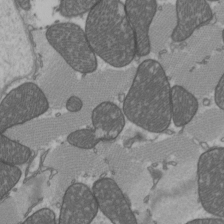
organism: C57BL Mouse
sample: Heart